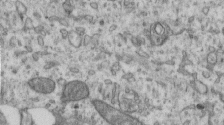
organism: Human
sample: Centriole in RPE cells